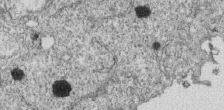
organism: Human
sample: HeLa cell HIV synapse